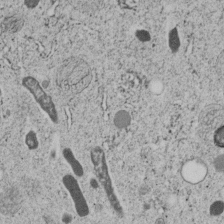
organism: C. elegans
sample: C. elegans embryo early stage